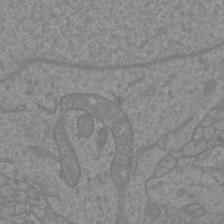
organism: Mouse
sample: Cortical neurons